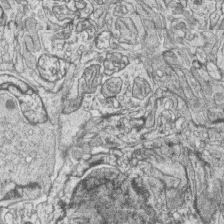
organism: Zebrafish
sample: synaptic ribbons in rod cells and cone cells